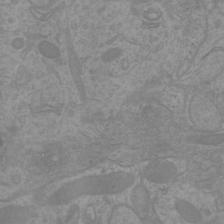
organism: Mouse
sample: Cortical neurons